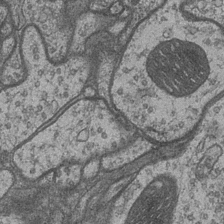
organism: Drosophila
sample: Optic medulla